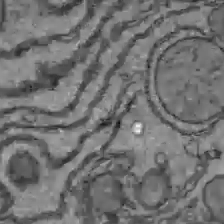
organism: C57BL Mouse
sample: Liver